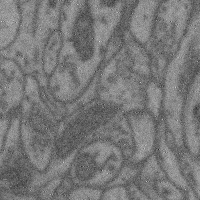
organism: Mouse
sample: Cerebral cortex